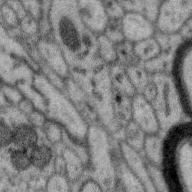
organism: Zebra finch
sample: Brain